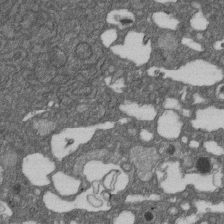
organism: Drosophila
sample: Nephrocyte